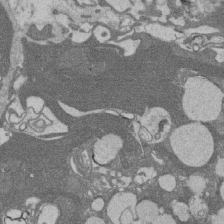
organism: Rat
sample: Salivary granule